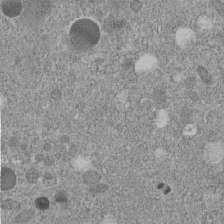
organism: C. elegans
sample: C. elegans embryo early stage